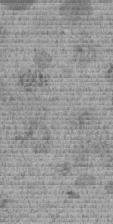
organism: C. elegans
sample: C. elegans embryo early stage